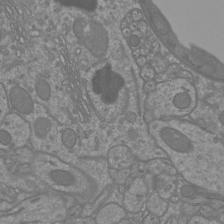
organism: Mouse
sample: Cortical neurons